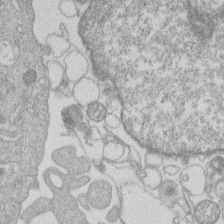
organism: Human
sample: Macrophage cells